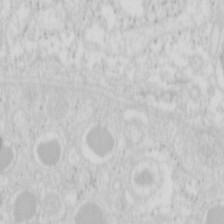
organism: Mouse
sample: Pancreas